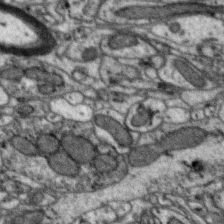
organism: Zebra finch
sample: Brain